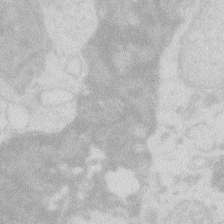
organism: Zebrafish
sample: Macrophage